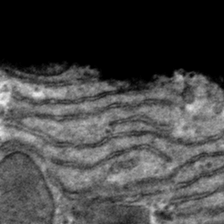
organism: Mouse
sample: Mouse hepatocytes